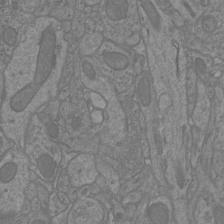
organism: Mouse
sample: Cortical neurons